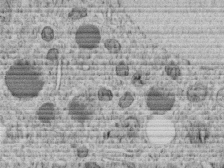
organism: C. elegans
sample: C. elegans embryo early stage